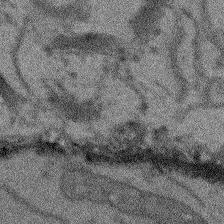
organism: Arabidopsis thaliana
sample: Root tip